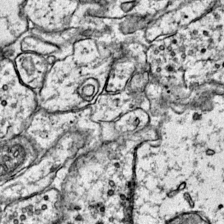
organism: Mouse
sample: Primary visual cortex